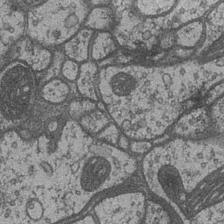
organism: Drosophila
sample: Optic medulla